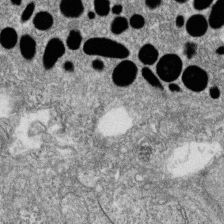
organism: Zebrafish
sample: Cilia; retinal pigment epithelium